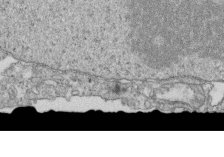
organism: Human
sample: HeLa cell HIV synapse